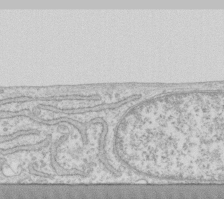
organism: Human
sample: Fibroblast cells